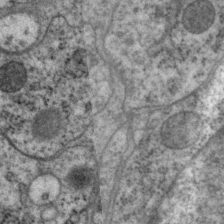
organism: P. pacificus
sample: Pharynx